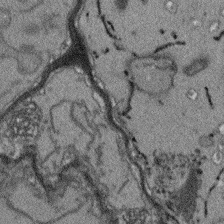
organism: Arabidopsis thaliana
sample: Root tip